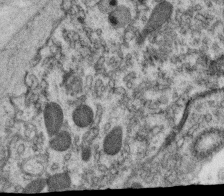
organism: C. elegans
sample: C. elegans oocyte; sperm cells